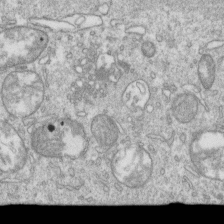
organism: Mouse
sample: Activated OT-1 CD8+ T cells